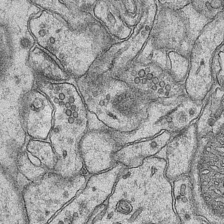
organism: Mouse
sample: CA1 Hippocampus